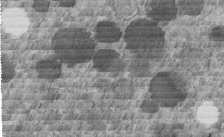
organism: C. elegans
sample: C. elegans embryo early stage